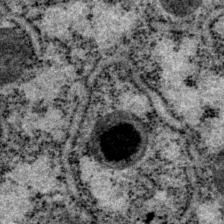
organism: P. pacificus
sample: Pharynx